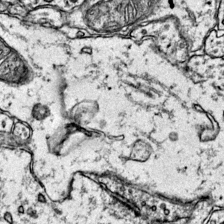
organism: Mouse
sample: Primary visual cortex